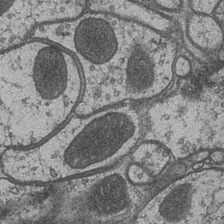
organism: Drosophila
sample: Optic medulla